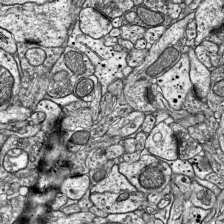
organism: Mouse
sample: Visual Cortex